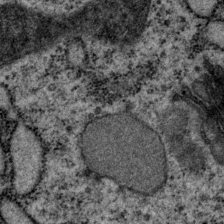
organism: P. pacificus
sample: Pharynx